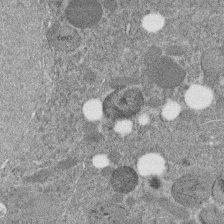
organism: C. elegans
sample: C. elegans embryo early stage